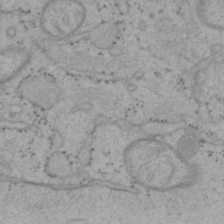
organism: Human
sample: HeLa cells